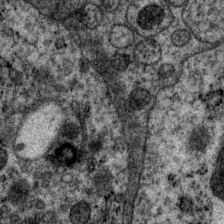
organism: P. pacificus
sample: Pharynx